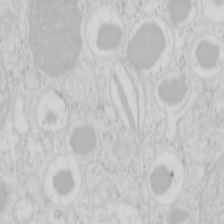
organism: Mouse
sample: Pancreas